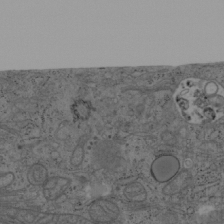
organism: Human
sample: HeLa cells